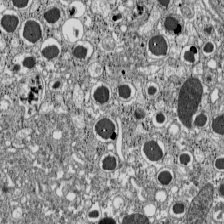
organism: C57BL Mouse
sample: Pancreatic islet